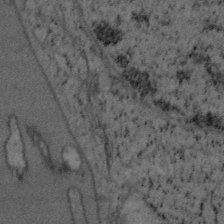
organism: Human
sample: HeLa cells